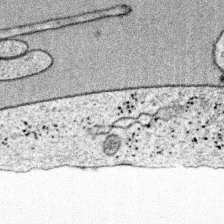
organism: Human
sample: HeLa cells